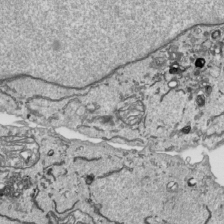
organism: Human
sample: Mitochondria in HCT116 cells